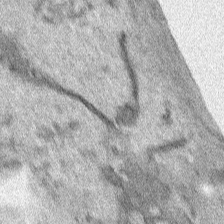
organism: Human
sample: Mitochondria in HCT116 cells